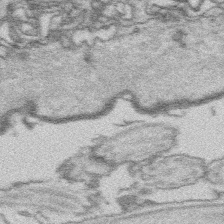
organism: Platynereis dumerilii